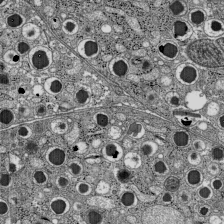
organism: C57BL Mouse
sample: Pancreatic islet